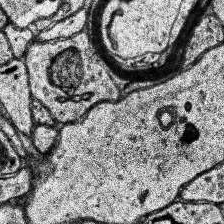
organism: Human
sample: Temporal Lobe